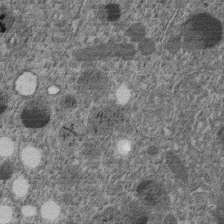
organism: C. elegans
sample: C. elegans embryo early stage